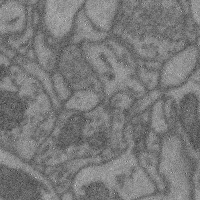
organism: Mouse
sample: Cerebral cortex